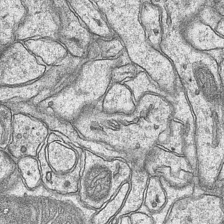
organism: Mouse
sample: CA1 Hippocampus